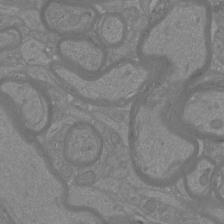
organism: Mouse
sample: Cortical neurons